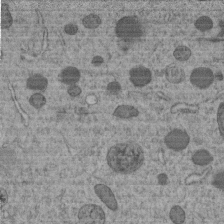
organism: C. elegans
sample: C. elegans embryo early stage